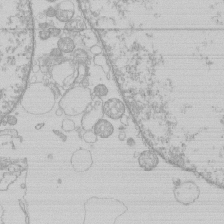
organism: Human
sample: Macrophage cells